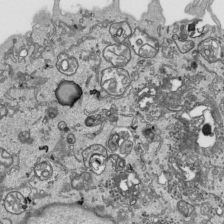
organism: Human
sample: Mitochondria in HCT116 cells